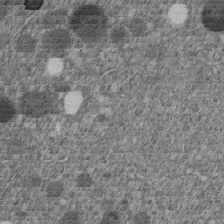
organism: C. elegans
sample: C. elegans embryo early stage